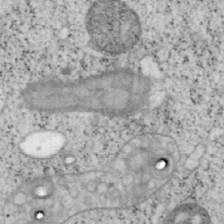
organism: Mouse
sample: OT-I killer T cells with ID8 ovarian cancer cells